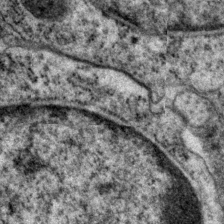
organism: P. pacificus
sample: Pharynx